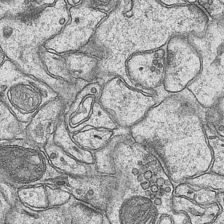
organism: Mouse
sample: CA1 Hippocampus